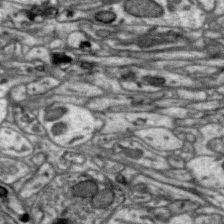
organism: Zebra finch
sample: Brain